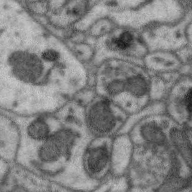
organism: Zebra finch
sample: Brain